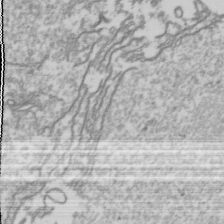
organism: Drosophila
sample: Cell division; meiosis; drosophila spermatocytes